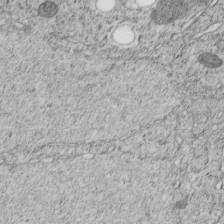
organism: C. elegans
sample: C. elegans embryo early stage